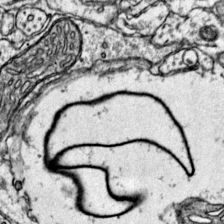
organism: Mouse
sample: Primary visual cortex